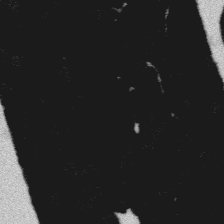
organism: Platynereis dumerilii